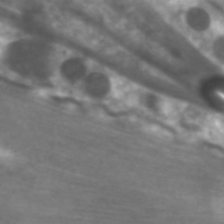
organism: C. elegans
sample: Pharynx